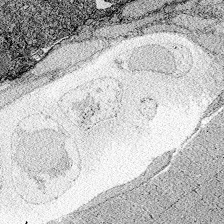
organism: Zebrafish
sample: Whole-Brain